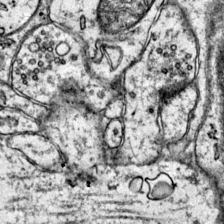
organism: Mouse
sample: Primary visual cortex